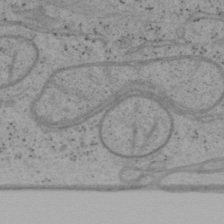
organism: Human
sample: HeLa cells